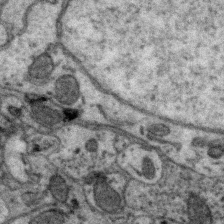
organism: Zebra finch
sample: Brain